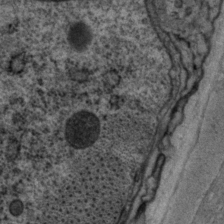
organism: P. pacificus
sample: Pharynx